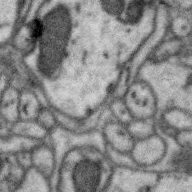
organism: Zebra finch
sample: Brain